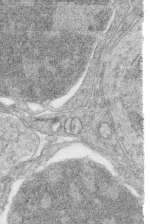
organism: Zebrafish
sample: synaptic ribbons in rod cells and cone cells